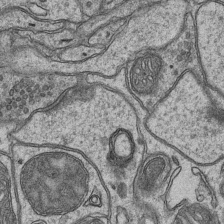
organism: Mouse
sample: CA1 Hippocampus